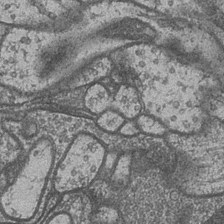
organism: Drosophila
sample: Optic medulla